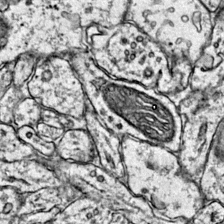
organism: Mouse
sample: Primary visual cortex